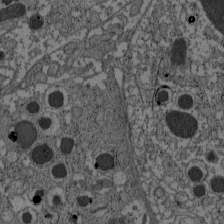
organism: C57BL Mouse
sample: Pancreatic islet